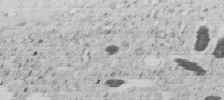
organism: C. elegans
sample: C. elegans embryo early stage